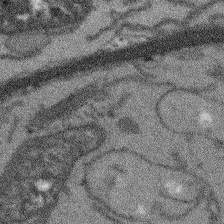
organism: Arabidopsis thaliana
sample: Root tip